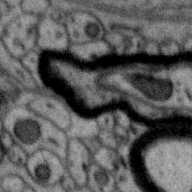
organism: Zebra finch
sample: Brain